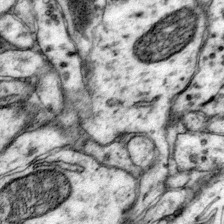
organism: Mouse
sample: Primary visual cortex